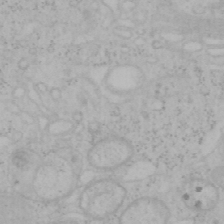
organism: Mouse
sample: OT-I killer T cells with ID8 ovarian cancer cells